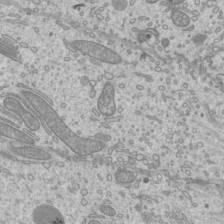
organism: Mouse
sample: Cilia; mouse epididymis